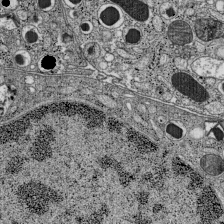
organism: C57BL Mouse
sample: Pancreatic islet